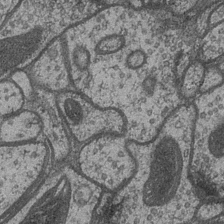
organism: Drosophila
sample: Optic medulla